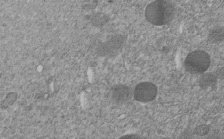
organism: C. elegans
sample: C. elegans embryo early stage